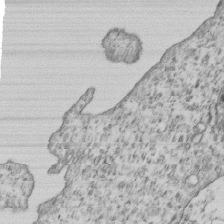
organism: Human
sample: MDA-MB-231 cells